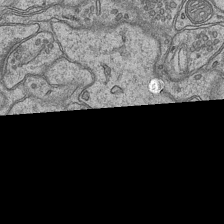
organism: Mouse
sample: CA1 Hippocampus